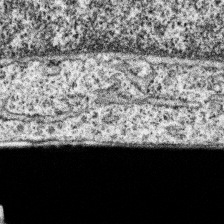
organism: Human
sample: HeLa cells